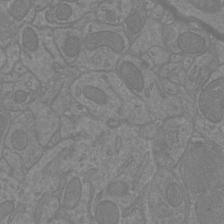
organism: Mouse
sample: Cortical neurons